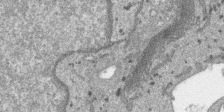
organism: Human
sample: Lung epithelial cells infected with SARS-CoV-2